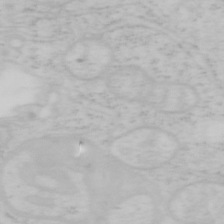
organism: Mouse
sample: OT-I killer T cells with ID8 ovarian cancer cells